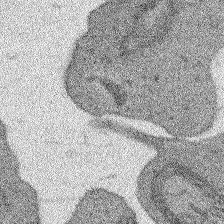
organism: Human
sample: HeLa cells